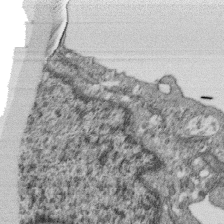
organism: African green monkey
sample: Vero E6 cells infected with SARS-CoV-2